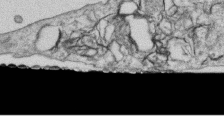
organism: Human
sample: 1205lu cells